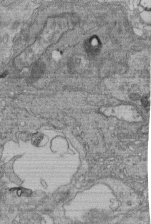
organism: Human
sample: Retinal organoid Rod and Cone cells